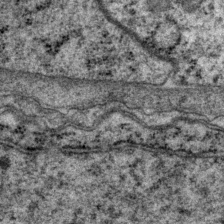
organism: P. pacificus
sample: Pharynx